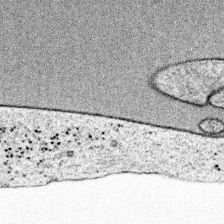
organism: Human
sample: HeLa cells